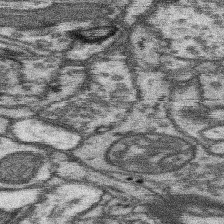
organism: Mouse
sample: Somatosensory cortex neuropil